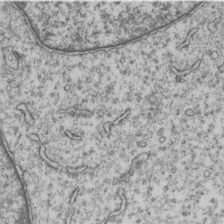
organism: Human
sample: MDA-MB-231 cells